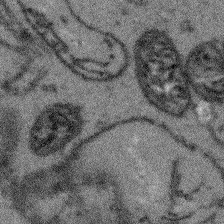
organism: Arabidopsis thaliana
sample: Root tip